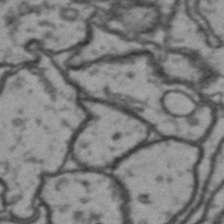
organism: Drosophila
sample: Brain